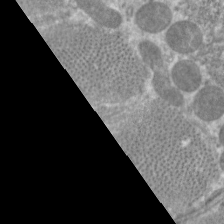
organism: C. elegans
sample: Pharynx